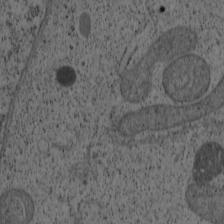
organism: African green monkey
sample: COS-7 cells